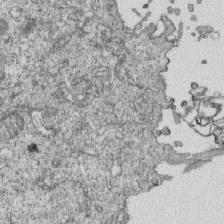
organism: Human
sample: HeLa cell HIV synapse